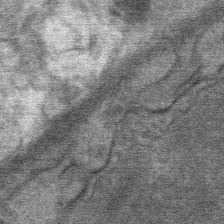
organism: Mouse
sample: Mouse Salivary gland